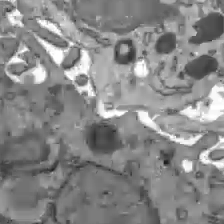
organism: C57BL Mouse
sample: Liver